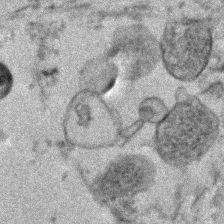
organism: Human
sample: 1205lu cells